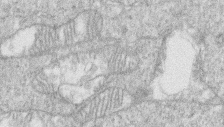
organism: Human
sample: HeLa cell HIV synapse